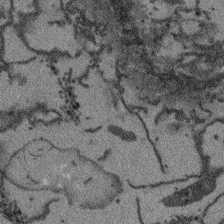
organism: Arabidopsis thaliana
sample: Root tip